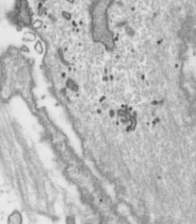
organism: Toxoplasma gondii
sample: Parasites in a vacuole inside a host cell